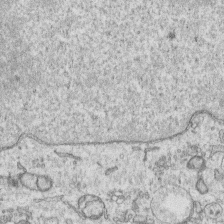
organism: Human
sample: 1205lu cells